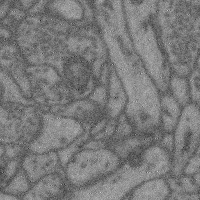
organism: Mouse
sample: Cerebral cortex